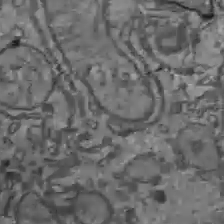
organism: C57BL Mouse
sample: Liver